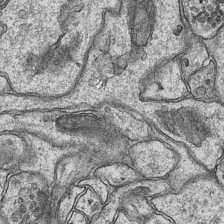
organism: Mouse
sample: CA1 Hippocampus